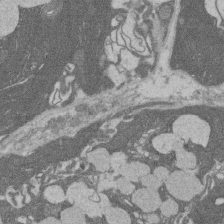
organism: Rat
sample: Salivary granule